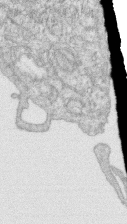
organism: Human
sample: HeLa cell HIV synapse